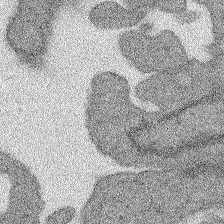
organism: Human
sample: HeLa cells